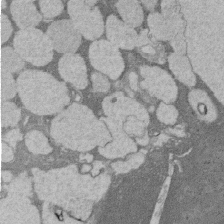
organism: Rat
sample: Salivary granule